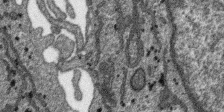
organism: Human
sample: Lung epithelial cells infected with SARS-CoV-2